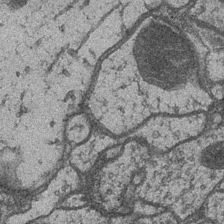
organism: Drosophila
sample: Optic medulla